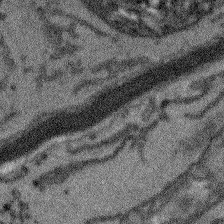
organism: Arabidopsis thaliana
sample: Root tip